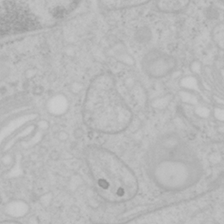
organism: Mouse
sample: OT-I killer T cells with ID8 ovarian cancer cells